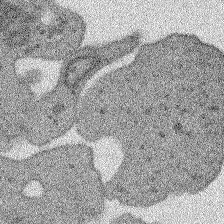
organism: Human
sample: HeLa cells